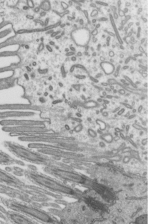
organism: Mouse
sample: Mouse epididymis efferent ductule cilia